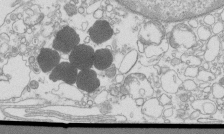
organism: Mouse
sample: Macrophages